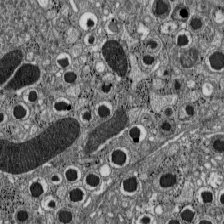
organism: C57BL Mouse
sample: Pancreatic islet